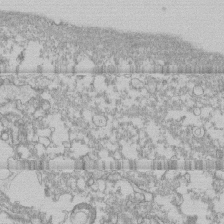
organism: Human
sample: CRL-1474